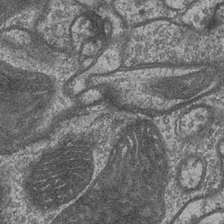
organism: Drosophila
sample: Optic medulla